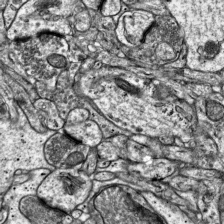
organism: Mouse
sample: Visual Cortex